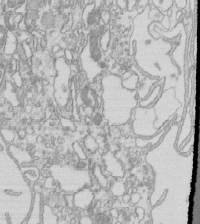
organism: Mouse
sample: Macrophages